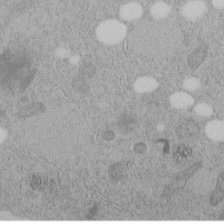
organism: C. elegans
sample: C. elegans embryo early stage